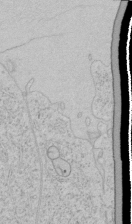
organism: Human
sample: Mitochondria in HCT116 cells